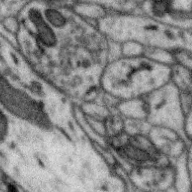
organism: Zebra finch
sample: Brain